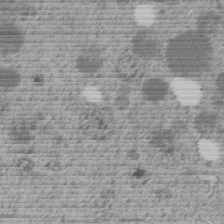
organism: C. elegans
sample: C. elegans embryo early stage